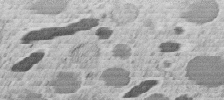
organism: C. elegans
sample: C. elegans embryo early stage